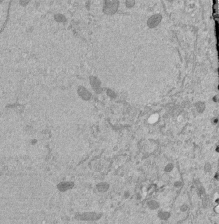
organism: Mouse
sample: ED-1 cell nuclei; centrioles